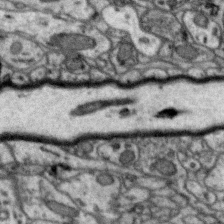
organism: Zebra finch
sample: Brain